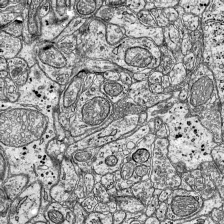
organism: Mouse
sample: Visual Cortex